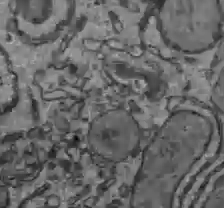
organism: C57BL Mouse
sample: Liver